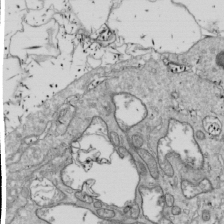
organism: Drosophila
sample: Cell division; meiosis; drosophila spermatocytes